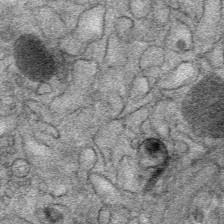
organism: Mouse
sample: Mouse Salivary gland